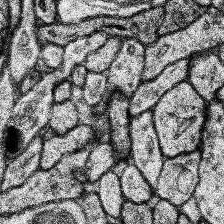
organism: Human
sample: Temporal Lobe